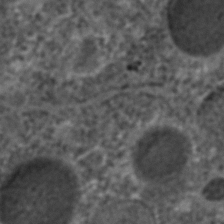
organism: C. elegans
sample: C. elegans embryo